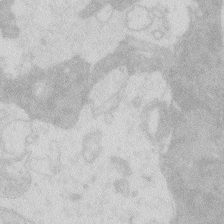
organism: Zebrafish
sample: Macrophage